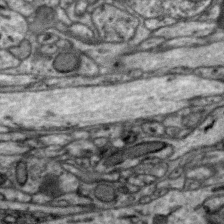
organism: Zebra finch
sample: Brain